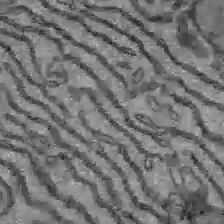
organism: C57BL Mouse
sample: Liver